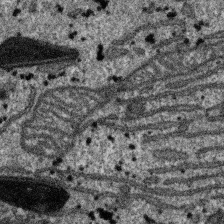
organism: Human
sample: Lung epithelial cells infected with SARS-CoV-2